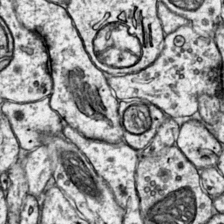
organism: Mouse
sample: Primary visual cortex